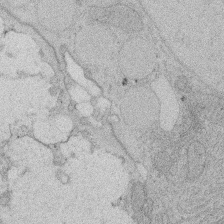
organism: Rat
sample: Salivary granule